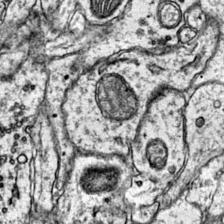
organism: Mouse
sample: Primary visual cortex